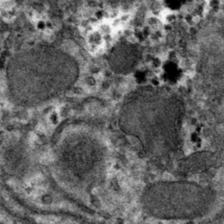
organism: Mouse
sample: Mouse hepatocytes